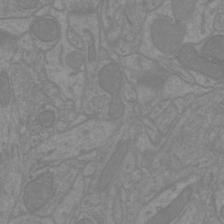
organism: Mouse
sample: Cortical neurons